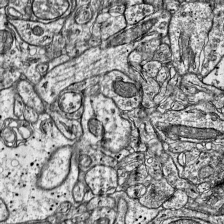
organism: Mouse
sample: Visual Cortex